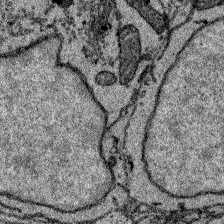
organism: Zebrafish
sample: Larval olfactory bulb